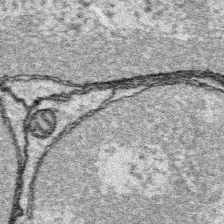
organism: Platynereis dumerilii